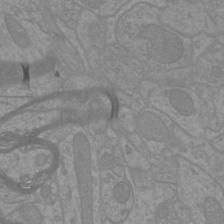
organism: Mouse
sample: Cortical neurons